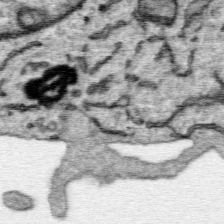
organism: Human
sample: HeLa cells